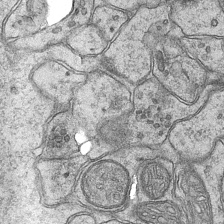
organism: Mouse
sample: CA1 Hippocampus